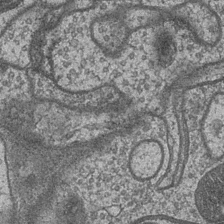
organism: Drosophila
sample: Optic medulla